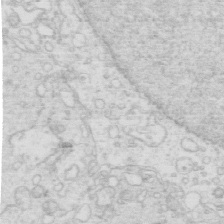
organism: Mouse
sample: Multiciliated cells